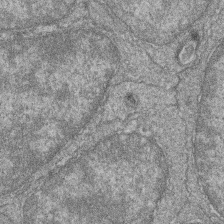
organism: Zebrafish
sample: Cilia; retinal pigment epithelium